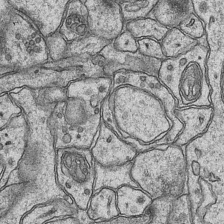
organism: Mouse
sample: CA1 Hippocampus